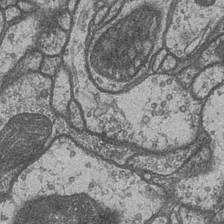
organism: Drosophila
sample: Optic medulla